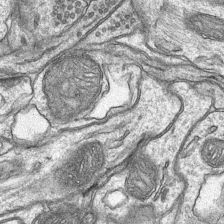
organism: Mouse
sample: CA1 Hippocampus